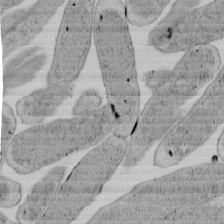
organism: E. coli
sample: Bacterial nucleoid